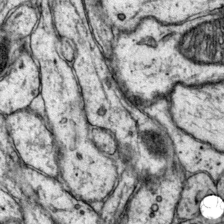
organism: Mouse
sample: Primary visual cortex